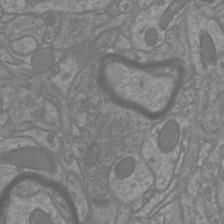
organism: Mouse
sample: Cortical neurons